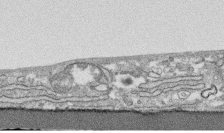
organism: Human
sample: CRL-1474